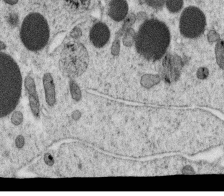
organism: C. elegans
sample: C. elegans oocyte; sperm cells